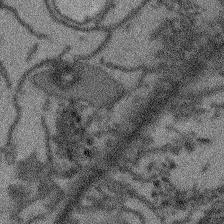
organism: Arabidopsis thaliana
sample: Root tip